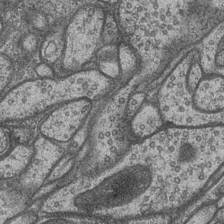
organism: Drosophila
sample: Optic medulla